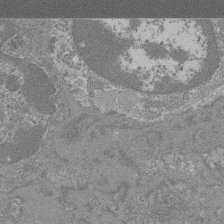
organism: Mouse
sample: Glomerulus